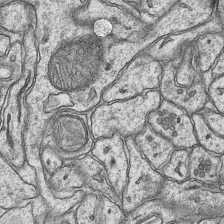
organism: Mouse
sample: CA1 Hippocampus